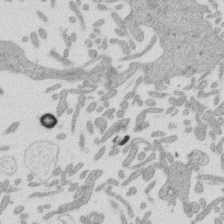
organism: Mouse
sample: Dividing mouse embryo 1 cell stage